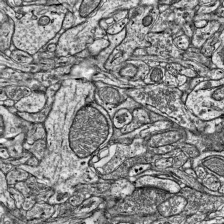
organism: Mouse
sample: Visual Cortex